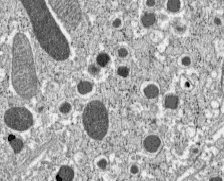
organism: C57BL Mouse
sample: Pancreatic islet